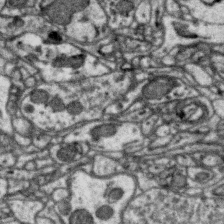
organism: Zebra finch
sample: Brain